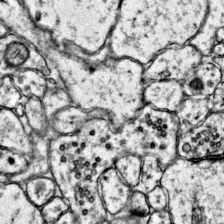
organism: Mouse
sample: Primary visual cortex